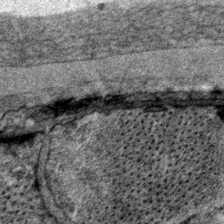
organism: P. pacificus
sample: Pharynx